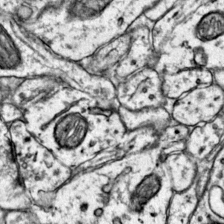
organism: Mouse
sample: Primary visual cortex